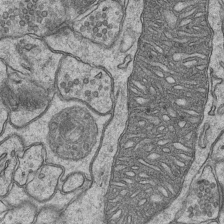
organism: Mouse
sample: CA1 Hippocampus